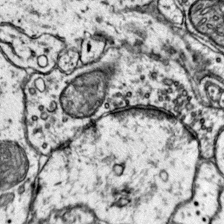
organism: Mouse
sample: Primary visual cortex